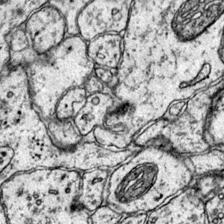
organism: Mouse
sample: Primary visual cortex